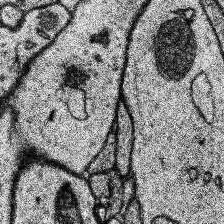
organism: Human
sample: Temporal Lobe